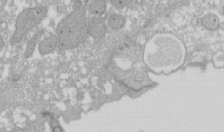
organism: Xenopus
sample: Cilia; centrioles in frog embryo cells